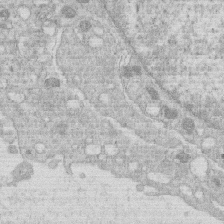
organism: Human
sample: Macrophage cells